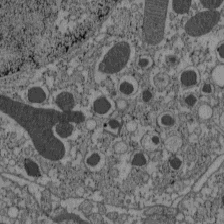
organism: C57BL Mouse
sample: Pancreatic islet